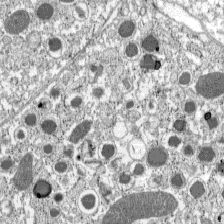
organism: C57BL Mouse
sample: Pancreatic islet